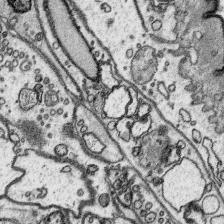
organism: Platynereis dumerilii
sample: Parapodia